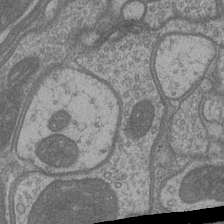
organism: Drosophila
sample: Optic medulla